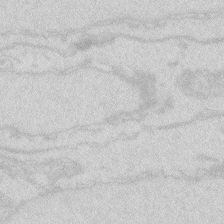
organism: Zebrafish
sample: Macrophage